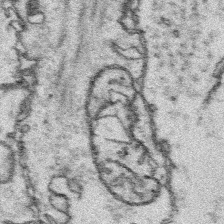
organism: Platynereis dumerilii